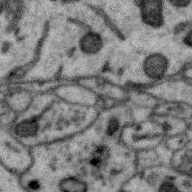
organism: Zebra finch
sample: Brain